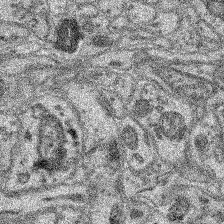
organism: Mouse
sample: Retina